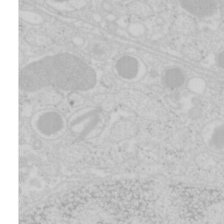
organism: Mouse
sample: Pancreas